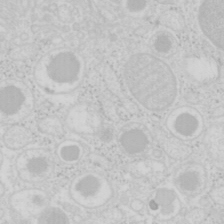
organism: Mouse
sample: Pancreas